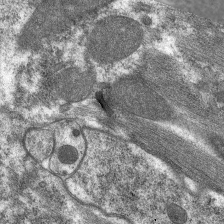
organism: C. elegans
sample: Pharynx